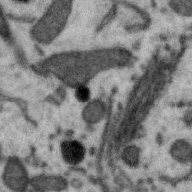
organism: Zebra finch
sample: Brain